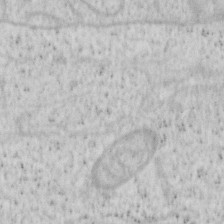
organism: Human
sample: HeLa cells